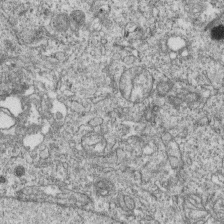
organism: Human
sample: HeLa cell HIV synapse